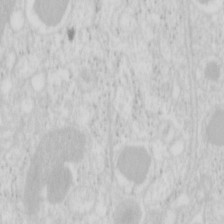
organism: Mouse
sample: Pancreas